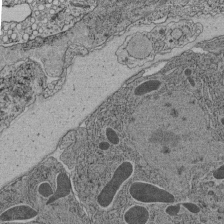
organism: C. elegans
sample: C. elegans pharynx